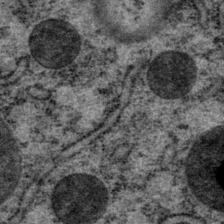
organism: P. pacificus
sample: Pharynx